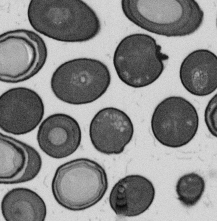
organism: B. subtilis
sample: Bacterial spore